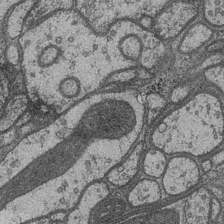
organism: Drosophila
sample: Optic medulla